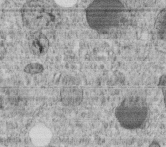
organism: C. elegans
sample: C. elegans embryo early stage